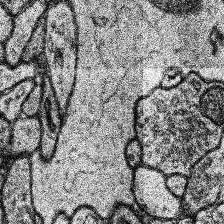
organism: Human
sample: Temporal Lobe